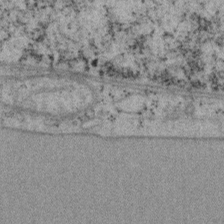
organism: Human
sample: HeLa cells